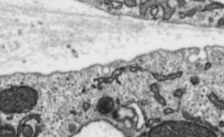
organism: Toxoplasma gondii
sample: Parasites in a vacuole inside a host cell